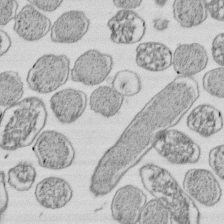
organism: E. coli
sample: Bacterial nucleoid